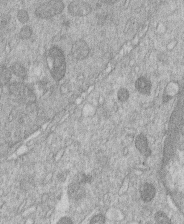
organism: Human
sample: Macrophage cells